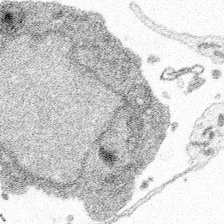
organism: Spongilla lacustris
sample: Multiple